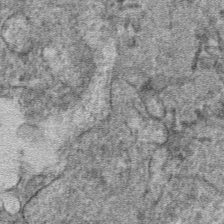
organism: Mouse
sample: Mouse hepatocytes